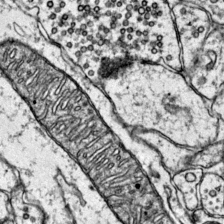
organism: Mouse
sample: Primary visual cortex